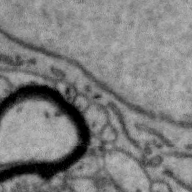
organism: Zebra finch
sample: Brain